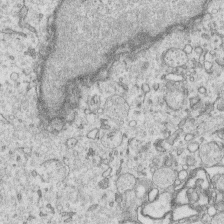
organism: Human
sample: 1205lu cells